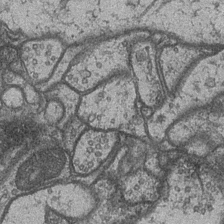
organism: Drosophila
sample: Optic medulla